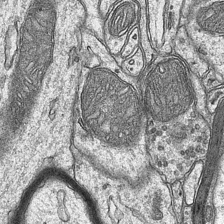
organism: Mouse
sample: CA1 Hippocampus